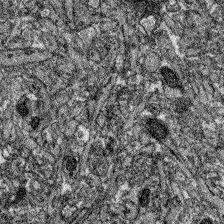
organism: Zebrafish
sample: Larval olfactory bulb